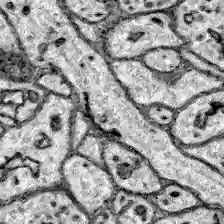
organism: Zebrafish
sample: Brain